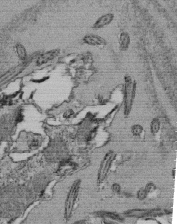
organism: Tetrahymena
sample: Cilia in tetrahymena